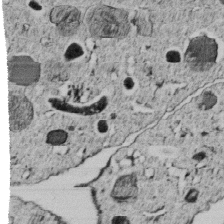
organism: C. elegans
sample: C. elegans embryo early stage